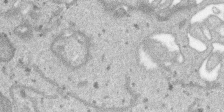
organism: Human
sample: Lung epithelial cells infected with SARS-CoV-2